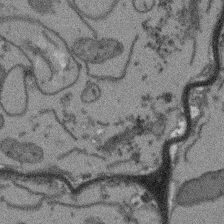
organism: Arabidopsis thaliana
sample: Root tip